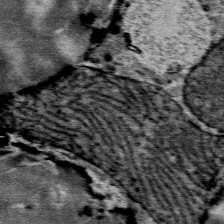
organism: Mouse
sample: Mouse Salivary gland